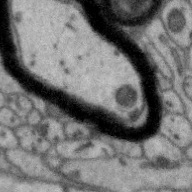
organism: Zebra finch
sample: Brain